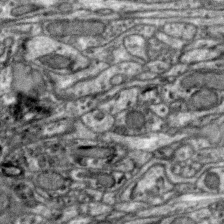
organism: Zebra finch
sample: Brain